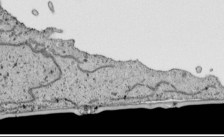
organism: Human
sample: Mitochondria in HCT116 cells